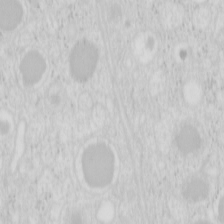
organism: Mouse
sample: Pancreas